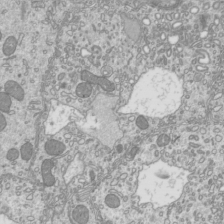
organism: Mouse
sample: Cilia; mouse epididymis